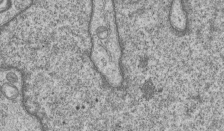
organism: Human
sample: MDA-MB-231 cells